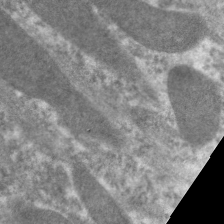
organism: C. elegans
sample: Pharynx